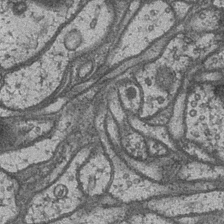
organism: Drosophila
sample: Optic medulla